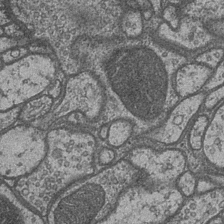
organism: Drosophila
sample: Optic medulla